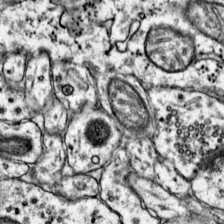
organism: Mouse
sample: Primary visual cortex